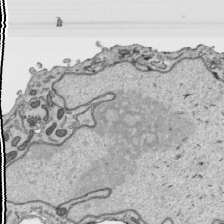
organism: Human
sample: Mitochondria in HCT116 cells